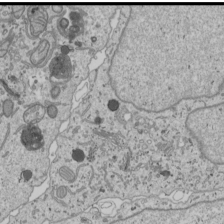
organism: Human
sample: Mitochondria in U2OS cells